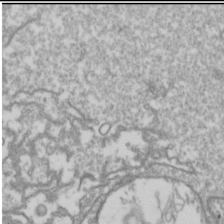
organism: Drosophila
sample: Cell division; meiosis; drosophila spermatocytes